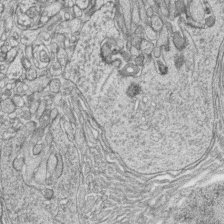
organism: Zebrafish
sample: synaptic ribbons in rod cells and cone cells